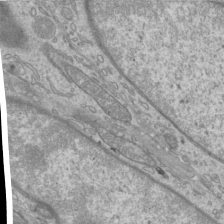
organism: Mouse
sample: Cilia; mouse epididymis